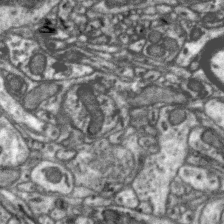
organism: Zebra finch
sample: Brain